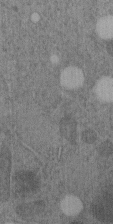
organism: C. elegans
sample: C. elegans embryo early stage